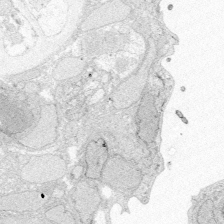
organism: Zebrafish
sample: Whole-Brain